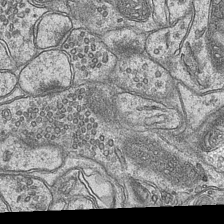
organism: Mouse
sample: CA1 Hippocampus